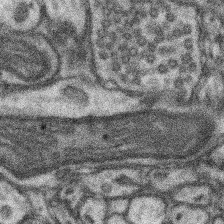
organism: Mouse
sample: Somatosensory cortex neuropil